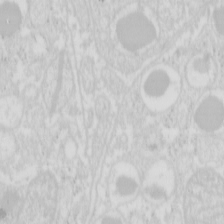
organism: Mouse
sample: Pancreas